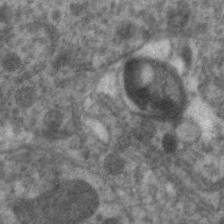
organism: C. elegans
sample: Pharynx